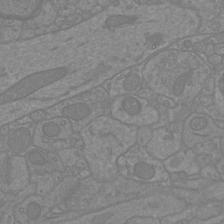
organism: Mouse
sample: Cortical neurons